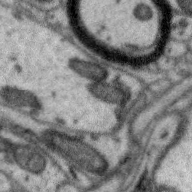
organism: Zebra finch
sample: Brain